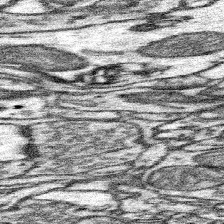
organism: Mouse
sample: Somatosensory cortex neuropil